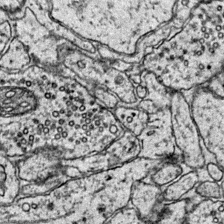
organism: Mouse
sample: Primary visual cortex